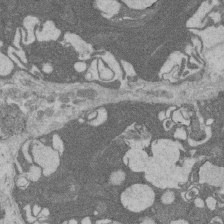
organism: Rat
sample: Salivary granule